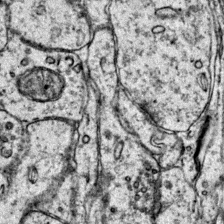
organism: Mouse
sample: Primary visual cortex